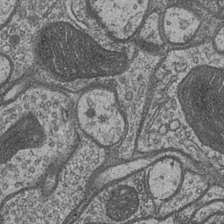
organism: Drosophila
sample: Optic medulla